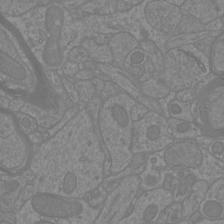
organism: Mouse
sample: Cortical neurons